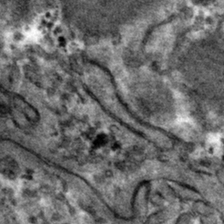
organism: Mouse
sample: Mouse hepatocytes